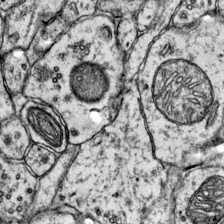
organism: Mouse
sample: Primary visual cortex